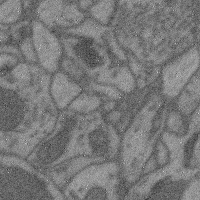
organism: Mouse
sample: Cerebral cortex